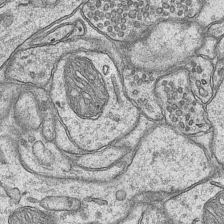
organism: Mouse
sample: CA1 Hippocampus